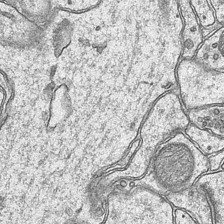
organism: Mouse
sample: CA1 Hippocampus